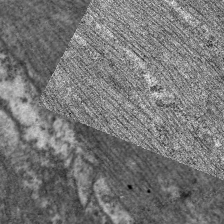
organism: C. elegans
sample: Pharynx